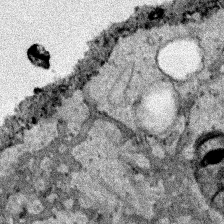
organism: Human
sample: Mitochondria in HCT116 cells